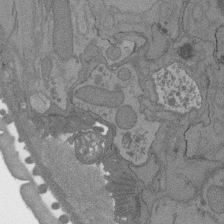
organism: C. elegans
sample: AFD neurons C. elegans